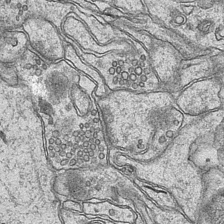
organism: Mouse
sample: CA1 Hippocampus